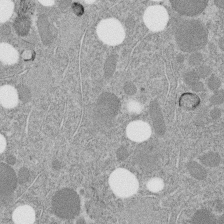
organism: C. elegans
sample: C. elegans embryo early stage